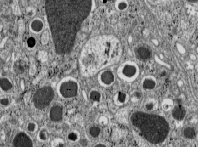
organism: C57BL Mouse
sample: Pancreatic islet